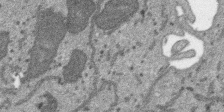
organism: Human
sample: Lung epithelial cells infected with SARS-CoV-2